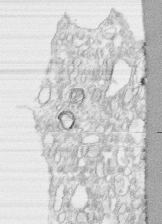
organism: Human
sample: CRL-1474